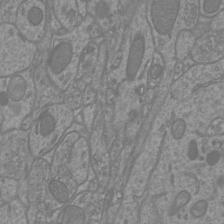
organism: Mouse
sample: Cortical neurons